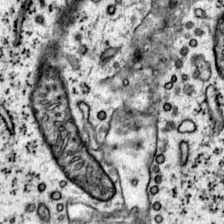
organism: Mouse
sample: Primary visual cortex